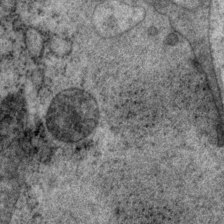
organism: P. pacificus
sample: Pharynx